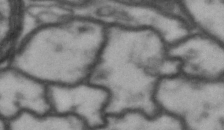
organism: Drosophila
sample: Brain